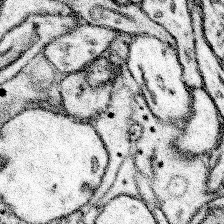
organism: Mouse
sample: Somatosensory cortex neuropil